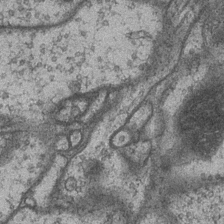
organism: Drosophila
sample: Optic medulla